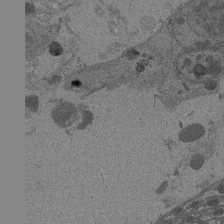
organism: Drosophila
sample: Antenna